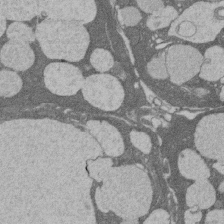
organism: Rat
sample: Salivary granule